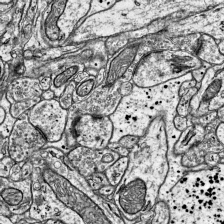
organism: Mouse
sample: Visual Cortex